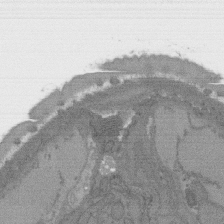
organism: C. elegans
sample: AFD neurons C. elegans